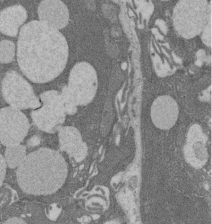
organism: Rat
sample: Salivary granule